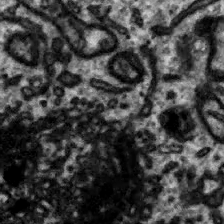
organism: Human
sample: HeLa cells